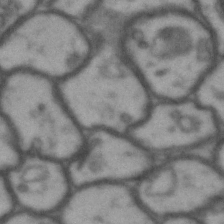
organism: Drosophila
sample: Brain